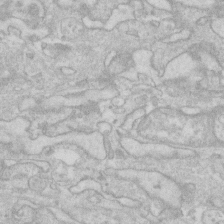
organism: Human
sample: Fibroblast cells